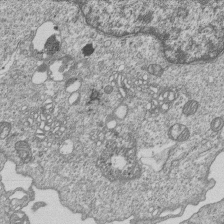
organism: Human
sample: MDA-MB-231 cells